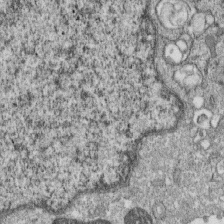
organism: African green monkey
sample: Vero E6 cells infected with SARS-CoV-2